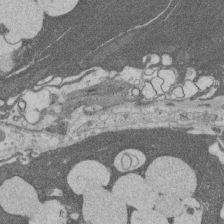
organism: Rat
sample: Salivary granule